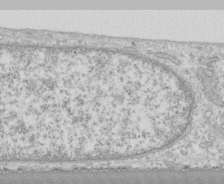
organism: Human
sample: CRL-1474